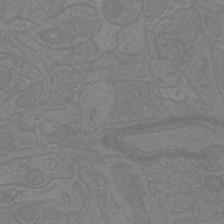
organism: Mouse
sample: Cortical neurons